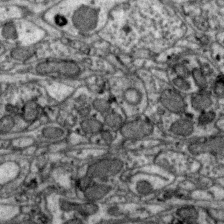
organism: Zebra finch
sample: Brain